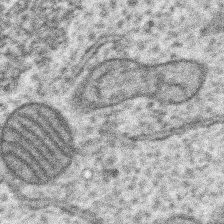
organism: Human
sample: HeLa cells